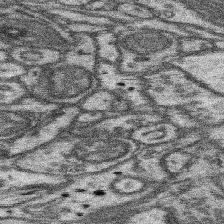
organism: Mouse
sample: Somatosensory cortex neuropil